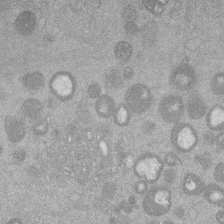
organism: Mouse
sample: Dividing mouse embryo 1 cell stage